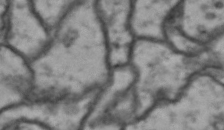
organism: Drosophila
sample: Brain